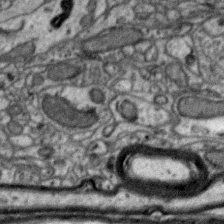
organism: Zebra finch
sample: Brain